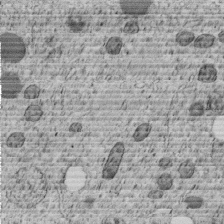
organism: C. elegans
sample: C. elegans embryo early stage